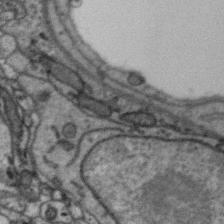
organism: Zebra finch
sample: Brain